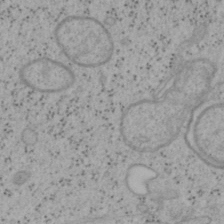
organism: Human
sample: HeLa cells